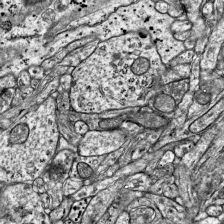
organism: Mouse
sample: Visual Cortex